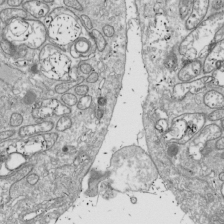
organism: Drosophila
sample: Cell division; meiosis; drosophila spermatocytes